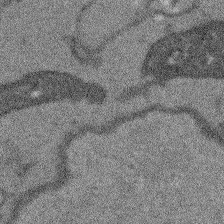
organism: Arabidopsis thaliana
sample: Root tip